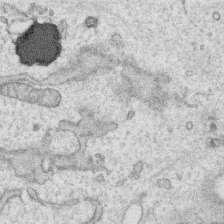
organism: Human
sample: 1205lu cells